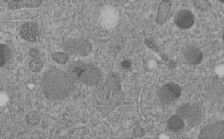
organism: C. elegans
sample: C. elegans embryo early stage